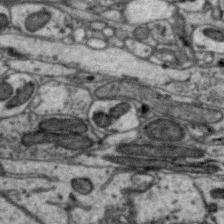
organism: Zebra finch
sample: Brain